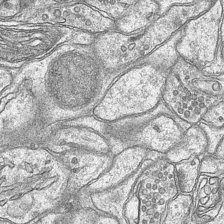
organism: Mouse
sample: CA1 Hippocampus